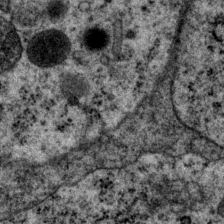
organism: P. pacificus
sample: Pharynx